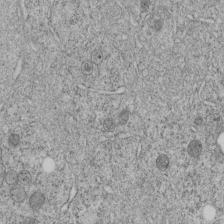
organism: C. elegans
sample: C. elegans embryo early stage